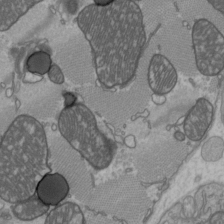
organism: C57BL Mouse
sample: Heart